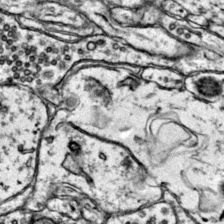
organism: Mouse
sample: Primary visual cortex